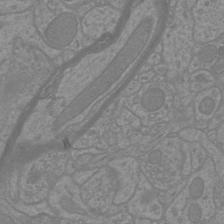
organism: Mouse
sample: Cortical neurons